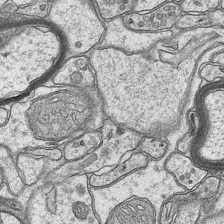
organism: Mouse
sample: CA1 Hippocampus